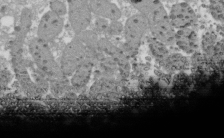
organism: Xenopus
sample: Cilia; centrioles in frog embryo cells